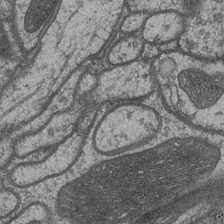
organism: Drosophila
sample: Optic medulla